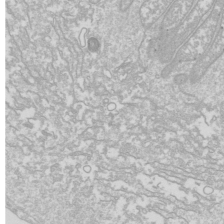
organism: Drosophila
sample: Cell division; meiosis; drosophila spermatocytes